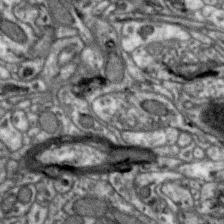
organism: Zebra finch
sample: Brain